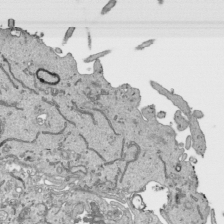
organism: Human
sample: Mitochondria in HCT116 cells